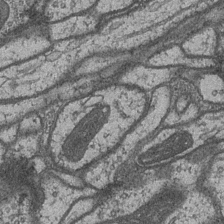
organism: Drosophila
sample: Optic medulla